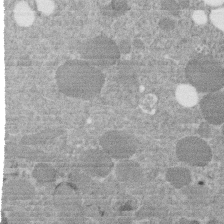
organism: C. elegans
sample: C. elegans embryo early stage